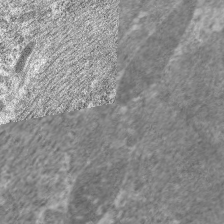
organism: C. elegans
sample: Pharynx